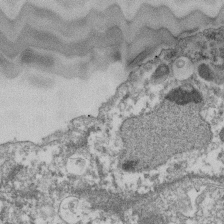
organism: Dictyostelium discoideum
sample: Dictyostelium multivesicular bodies